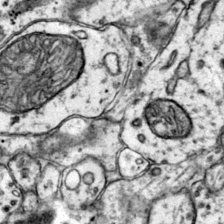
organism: Mouse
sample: Primary visual cortex